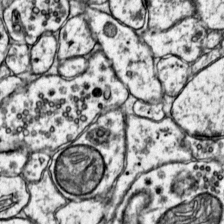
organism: Mouse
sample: Primary visual cortex